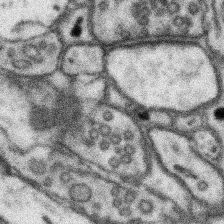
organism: Mouse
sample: Somatosensory cortex neuropil